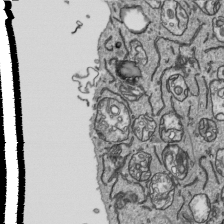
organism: Human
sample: Mitochondria in HCT116 cells